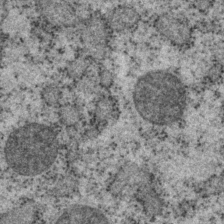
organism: P. pacificus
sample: Pharynx